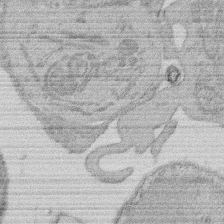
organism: Rat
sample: Salivary granule